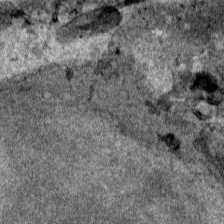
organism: Human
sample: Mitochondria in HCT116 cells